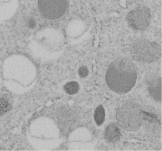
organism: C. elegans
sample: C. elegans embryo early stage